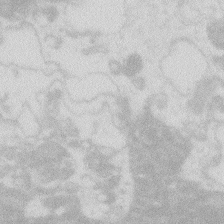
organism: Zebrafish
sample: Macrophage